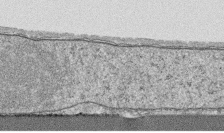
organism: Human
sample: CRL-1474